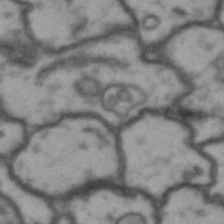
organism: Drosophila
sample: Brain